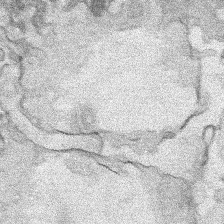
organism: Human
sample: Mitochondria in HCT116 cells